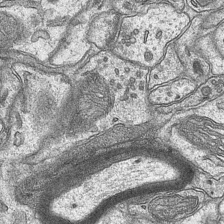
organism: Mouse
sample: CA1 Hippocampus